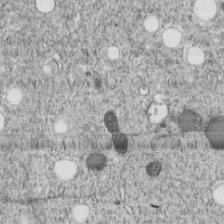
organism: C. elegans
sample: C. elegans embryo early stage